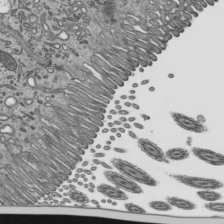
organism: Mouse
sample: Mouse epididymis efferent ductule cilia